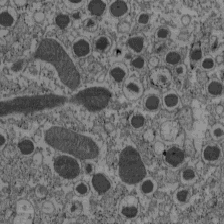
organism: C57BL Mouse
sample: Pancreatic islet